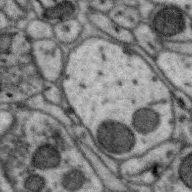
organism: Zebra finch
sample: Brain